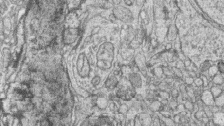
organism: Zebrafish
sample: synaptic ribbons in rod cells and cone cells